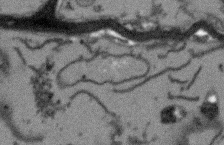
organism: Arabidopsis thaliana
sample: Root tip